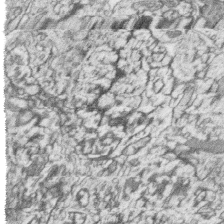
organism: Zebrafish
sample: synaptic ribbons in rod cells and cone cells